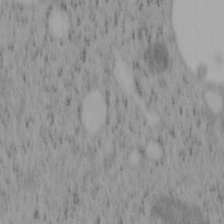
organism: Mouse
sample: OT-I killer T cells with ID8 ovarian cancer cells